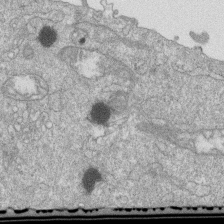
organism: Human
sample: HeLa cell HIV synapse